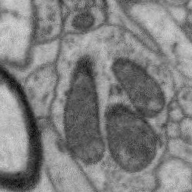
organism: Zebra finch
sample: Brain